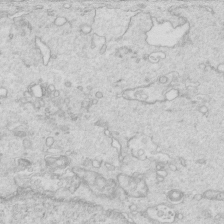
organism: Mouse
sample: Multiciliated cells